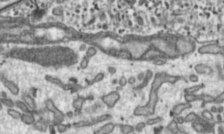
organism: Toxoplasma gondii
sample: Parasites in a vacuole inside a host cell